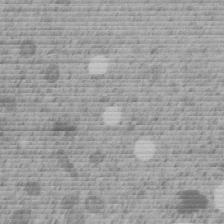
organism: C. elegans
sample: C. elegans embryo early stage